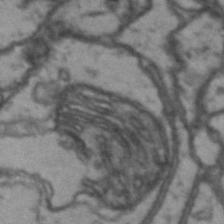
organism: Drosophila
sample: Brain